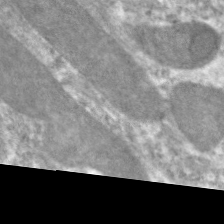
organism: C. elegans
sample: Pharynx